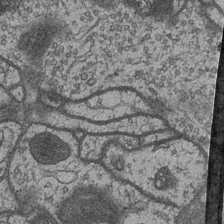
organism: Drosophila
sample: Optic medulla